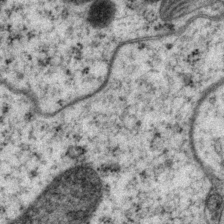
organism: P. pacificus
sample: Pharynx